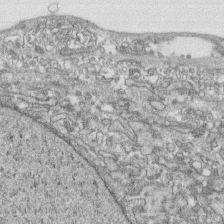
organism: Human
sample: CRL-1474